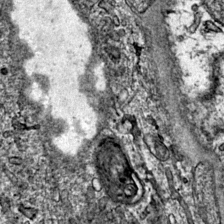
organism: Mouse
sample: Primary visual cortex